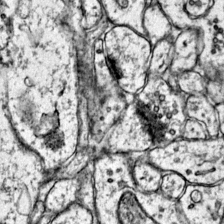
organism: Mouse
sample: Primary visual cortex